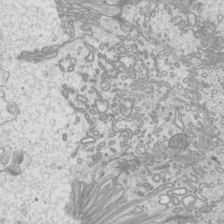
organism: Mouse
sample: Cilia; mouse epididymis